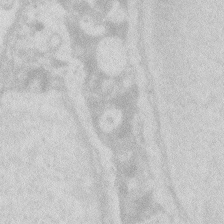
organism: Zebrafish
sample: Macrophage